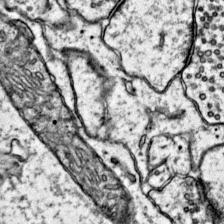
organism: Mouse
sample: Primary visual cortex